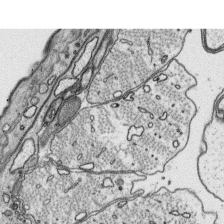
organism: Platynereis dumerilii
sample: Parapodia